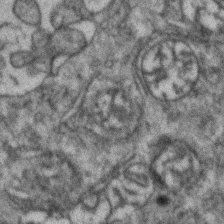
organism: Zebrafish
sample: Zebrafish embryo